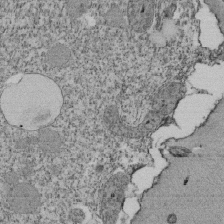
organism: Tetrahymena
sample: Cilia in tetrahymena